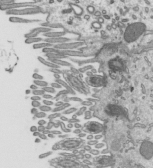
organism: Mouse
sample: Mouse epididymis efferent ductule cilia